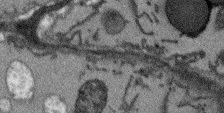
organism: Arabidopsis thaliana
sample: Root tip